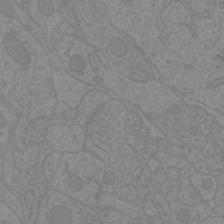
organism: Mouse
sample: Cortical neurons